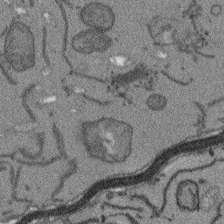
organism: Arabidopsis thaliana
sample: Root tip